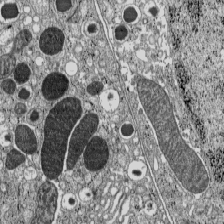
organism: C57BL Mouse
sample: Pancreatic islet